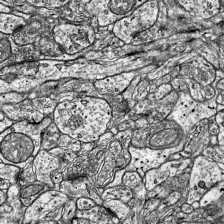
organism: Mouse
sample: Visual Cortex